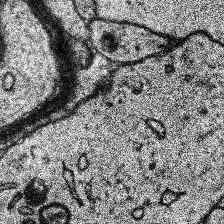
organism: Human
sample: Temporal Lobe